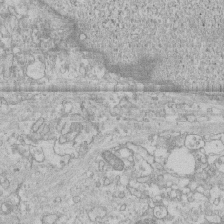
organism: Human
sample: CRL-1474